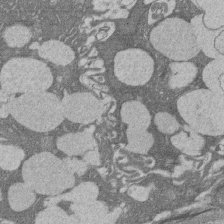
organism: Rat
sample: Salivary granule